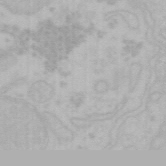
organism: Mouse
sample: Choroid plexus